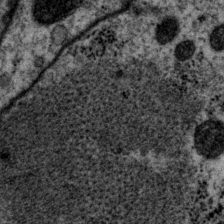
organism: P. pacificus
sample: Pharynx